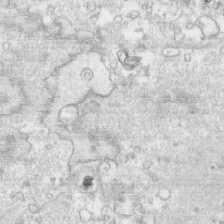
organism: Human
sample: CRL-1474